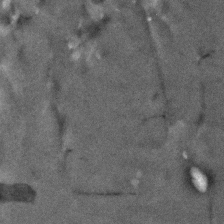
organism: Human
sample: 1205lu cells